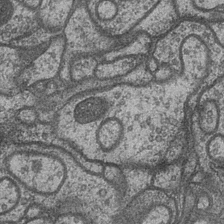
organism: Drosophila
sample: Optic medulla